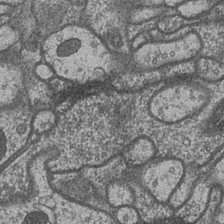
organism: Drosophila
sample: Optic medulla